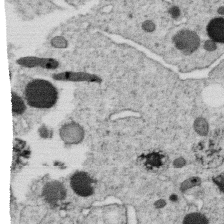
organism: C. elegans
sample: C. elegans oocyte; sperm cells